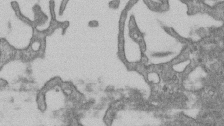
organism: Mouse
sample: Centriole in ependymal cells